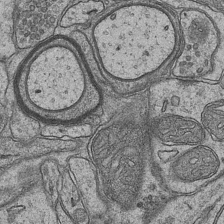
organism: Mouse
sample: CA1 Hippocampus